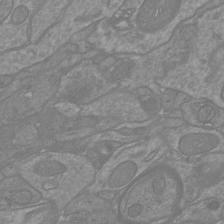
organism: Mouse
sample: Cortical neurons